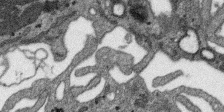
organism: Human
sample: Lung epithelial cells infected with SARS-CoV-2